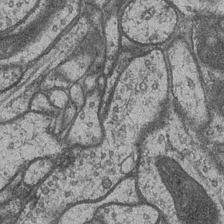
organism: Drosophila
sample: Optic medulla